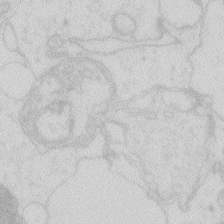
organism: Zebrafish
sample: Macrophage